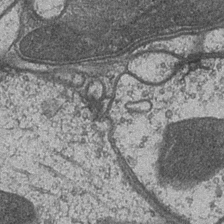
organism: Drosophila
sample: Optic medulla